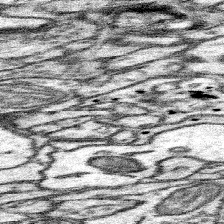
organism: Mouse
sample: Somatosensory cortex neuropil